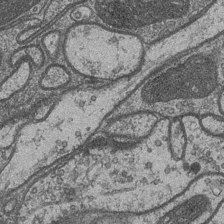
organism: Drosophila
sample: Optic medulla